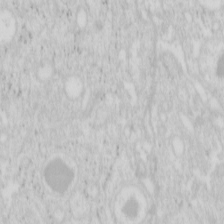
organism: Mouse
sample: Pancreas